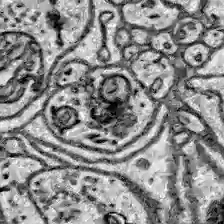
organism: Zebrafish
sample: Brain